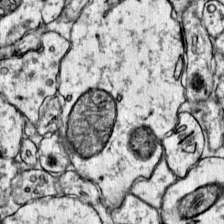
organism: Mouse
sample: Primary visual cortex